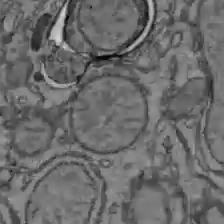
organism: C57BL Mouse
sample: Liver